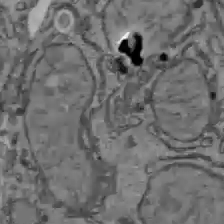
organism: C57BL Mouse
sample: Liver